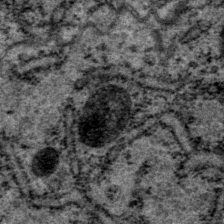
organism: P. pacificus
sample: Pharynx